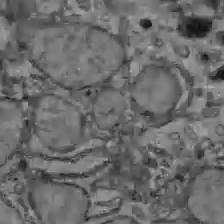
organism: C57BL Mouse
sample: Liver